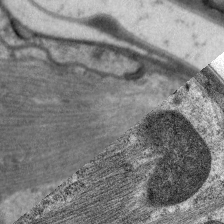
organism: C. elegans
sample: Pharynx